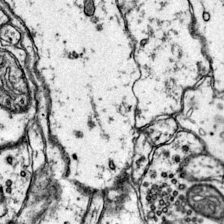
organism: Mouse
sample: Primary visual cortex